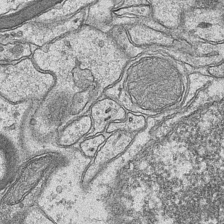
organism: Mouse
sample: CA1 Hippocampus